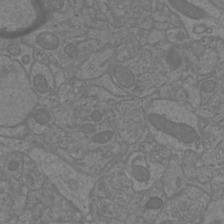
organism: Mouse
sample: Cortical neurons